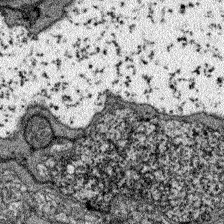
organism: Zebrafish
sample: Larval olfactory bulb